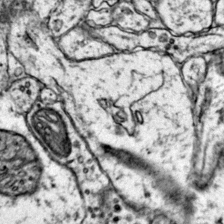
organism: Mouse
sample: Primary visual cortex